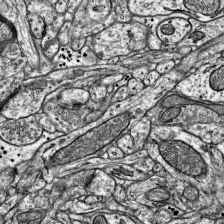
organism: Mouse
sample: Visual Cortex